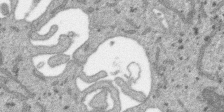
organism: Human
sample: Lung epithelial cells infected with SARS-CoV-2